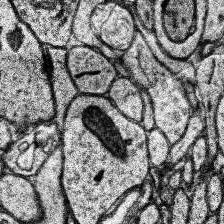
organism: Human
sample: Temporal Lobe